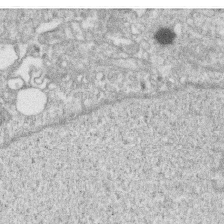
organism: Human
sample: HeLa cell HIV synapse